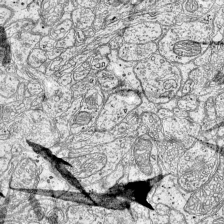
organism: Mouse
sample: Visual Cortex